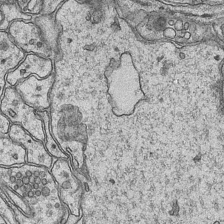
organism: Mouse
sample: CA1 Hippocampus